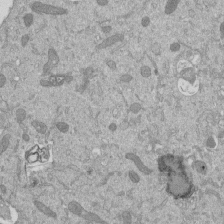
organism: Mouse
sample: ED-1 cell nuclei; centrioles